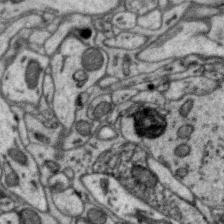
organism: Zebra finch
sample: Brain